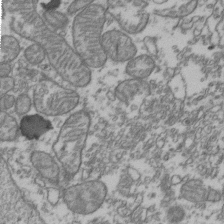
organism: Human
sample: Activated Jurkat CD4+ T cells